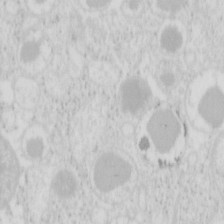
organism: Mouse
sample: Pancreas